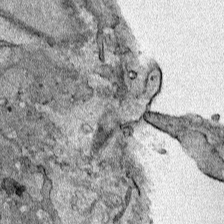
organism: Human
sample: Mitochondria in HCT116 cells